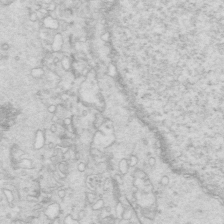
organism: Mouse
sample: Multiciliated cells